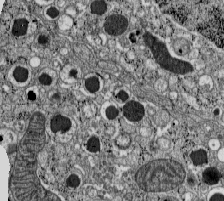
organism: C57BL Mouse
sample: Pancreatic islet